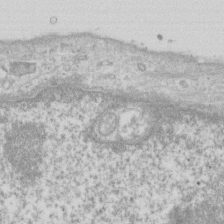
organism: Human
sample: Fibroblast cells